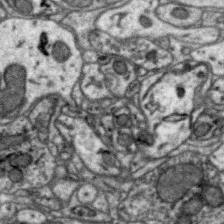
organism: Zebra finch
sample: Brain